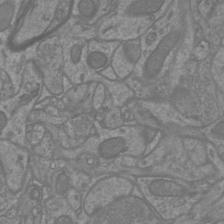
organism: Mouse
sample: Cortical neurons